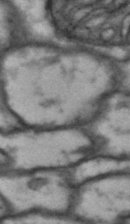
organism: Drosophila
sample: Brain